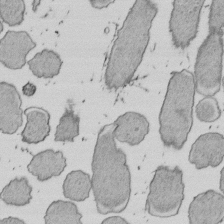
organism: E. coli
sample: Bacterial nucleoid